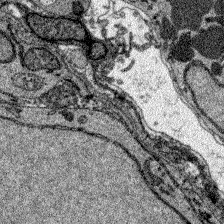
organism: Zebrafish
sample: Larval olfactory bulb